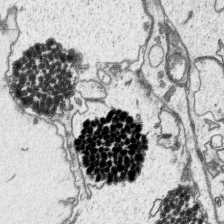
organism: Platynereis dumerilii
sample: Parapodia